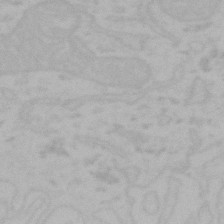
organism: Mouse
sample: Choroid plexus